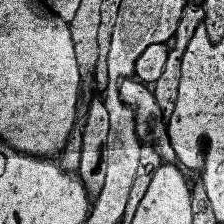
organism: Human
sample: Temporal Lobe